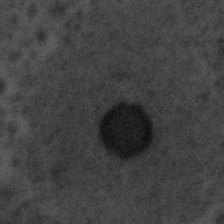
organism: Tuwongella immobilis